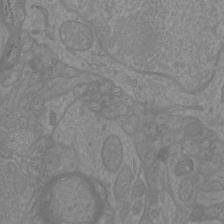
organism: Mouse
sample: Cortical neurons